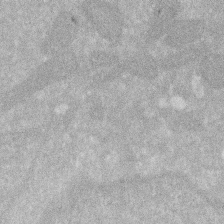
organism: Human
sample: HIV infected U937 cells